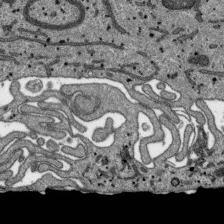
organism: Human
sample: Lung epithelial cells, uninfected (mock) control